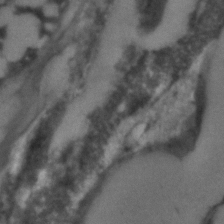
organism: C. elegans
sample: C. elegans embryo